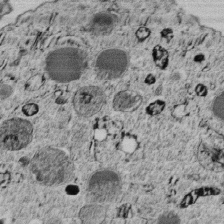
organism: C. elegans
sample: C. elegans embryo early stage